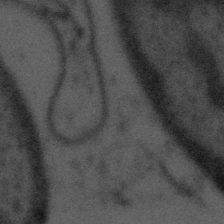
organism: Tuwongella immobilis